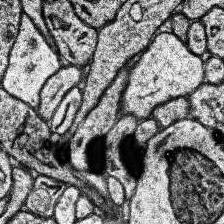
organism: Human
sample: Temporal Lobe